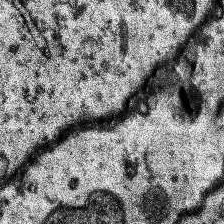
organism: Human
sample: Temporal Lobe